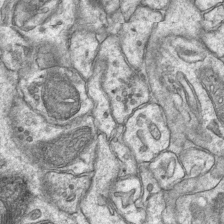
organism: Mouse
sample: CA1 Hippocampus